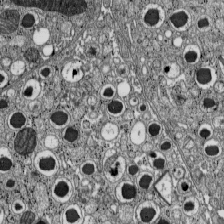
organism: C57BL Mouse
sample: Pancreatic islet